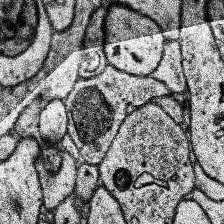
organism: Human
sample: Temporal Lobe